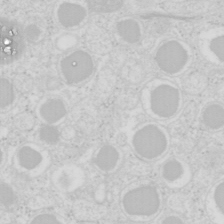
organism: Mouse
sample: Pancreas